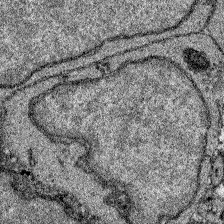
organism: Zebrafish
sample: Larval olfactory bulb